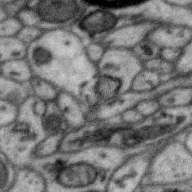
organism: Zebra finch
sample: Brain